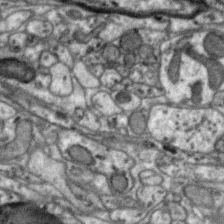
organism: Zebra finch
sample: Brain